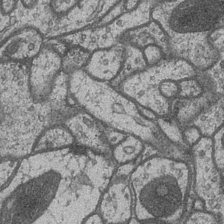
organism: Drosophila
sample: Optic medulla